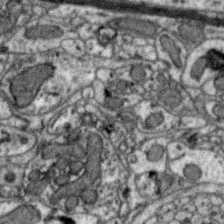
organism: Zebra finch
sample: Brain